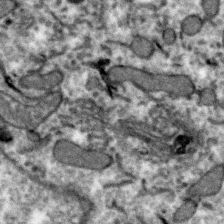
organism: Zebra finch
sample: Brain